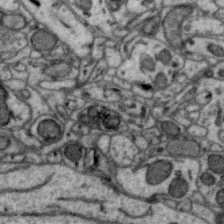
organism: Zebra finch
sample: Brain